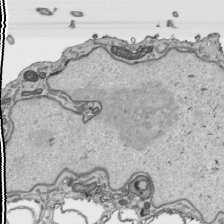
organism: Human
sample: Mitochondria in HCT116 cells